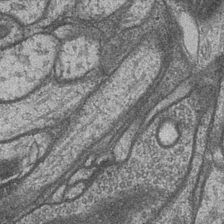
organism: Drosophila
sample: Optic medulla